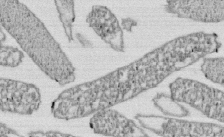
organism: E. coli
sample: Bacterial nucleoid